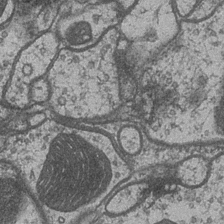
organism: Drosophila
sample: Optic medulla